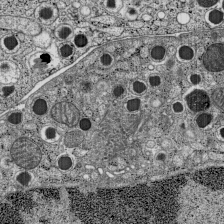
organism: C57BL Mouse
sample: Pancreatic islet